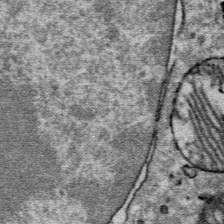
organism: Mouse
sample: Mouse Salivary gland